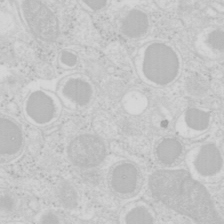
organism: Mouse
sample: Pancreas